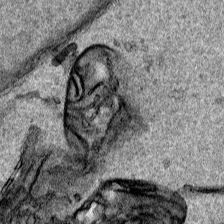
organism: Human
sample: Mitochondria in HCT116 cells